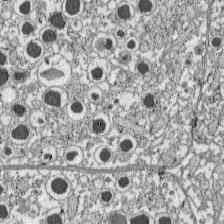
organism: C57BL Mouse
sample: Pancreatic islet